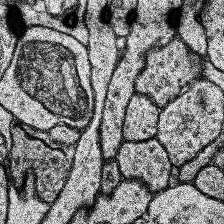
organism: Human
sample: Temporal Lobe